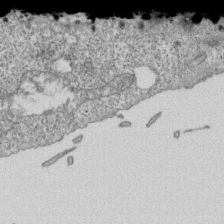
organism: Human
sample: HeLa cell HIV synapse